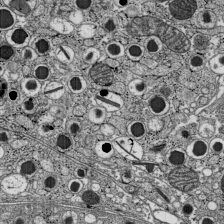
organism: C57BL Mouse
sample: Pancreatic islet